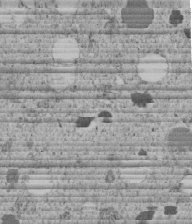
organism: C. elegans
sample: C. elegans embryo early stage